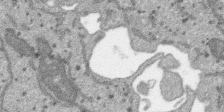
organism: Human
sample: Lung epithelial cells infected with SARS-CoV-2